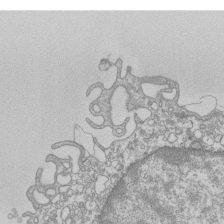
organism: Mouse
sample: Macrophages